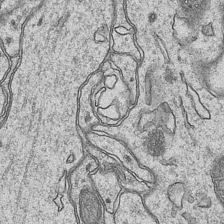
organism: Mouse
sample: CA1 Hippocampus